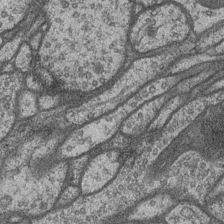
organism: Drosophila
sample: Optic medulla